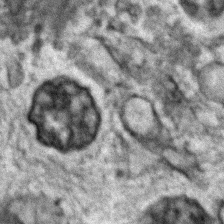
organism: Zebrafish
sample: Zebrafish embryo